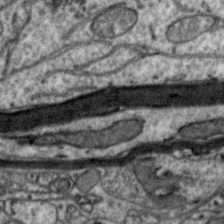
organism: Zebra finch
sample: Brain